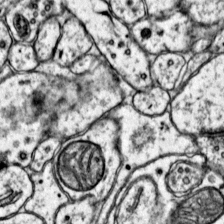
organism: Mouse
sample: Primary visual cortex